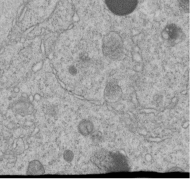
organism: C. elegans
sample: C. elegans embryo early stage